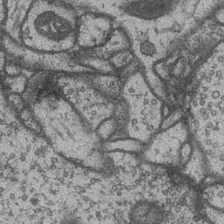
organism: Drosophila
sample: Optic medulla